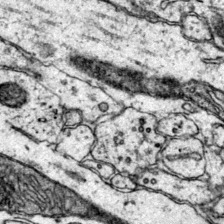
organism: Mouse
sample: Primary visual cortex